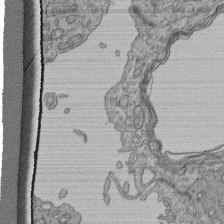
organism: Human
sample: Retinal organoid Rod and Cone cells